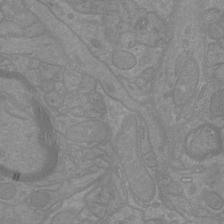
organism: Mouse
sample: Cortical neurons